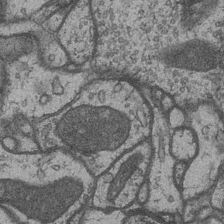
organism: Drosophila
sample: Optic medulla